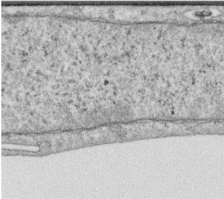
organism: Human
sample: Centriole in RPE cells